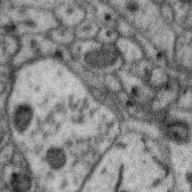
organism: Zebra finch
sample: Brain